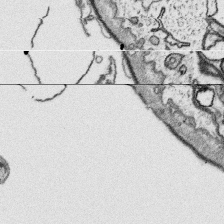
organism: Platynereis dumerilii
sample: Parapodia